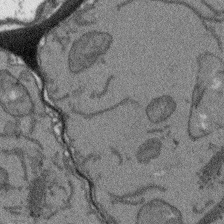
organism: Arabidopsis thaliana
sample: Root tip